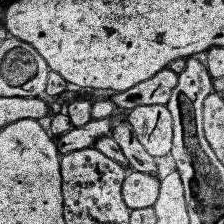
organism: Human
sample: Temporal Lobe